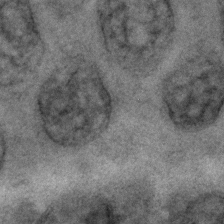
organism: C. elegans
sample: C. elegans embryo